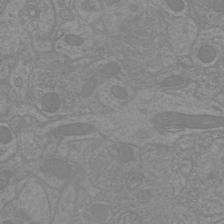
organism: Mouse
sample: Cortical neurons